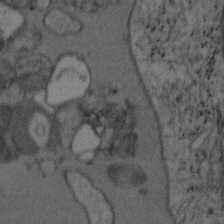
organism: Human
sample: HeLa cells